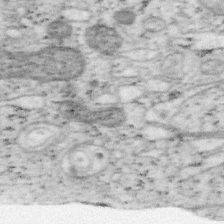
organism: Mouse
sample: OT-I killer T cells with ID8 ovarian cancer cells